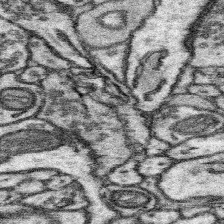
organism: Mouse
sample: Somatosensory cortex neuropil